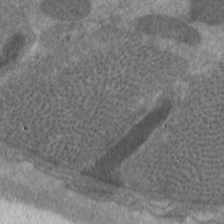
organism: C. elegans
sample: Pharynx